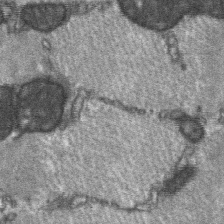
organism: C57BL Mouse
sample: Soleus